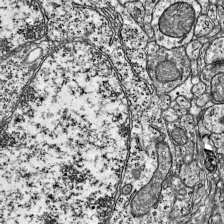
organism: Mouse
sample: Visual Cortex